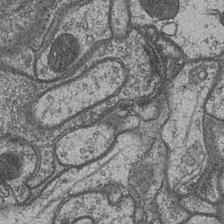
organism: Drosophila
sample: Optic medulla